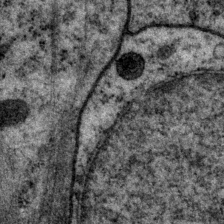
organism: P. pacificus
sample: Pharynx